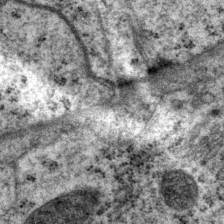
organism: P. pacificus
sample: Pharynx